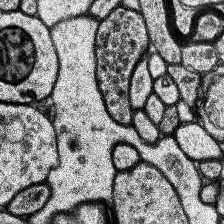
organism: Human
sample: Temporal Lobe